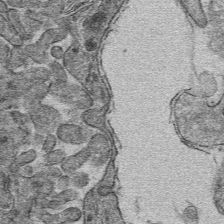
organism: Mouse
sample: Mouse hepatocytes